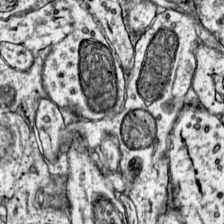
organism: Mouse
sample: Primary visual cortex